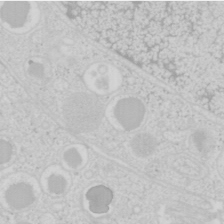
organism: Mouse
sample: Pancreas